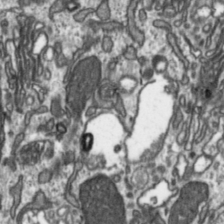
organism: Toxoplasma gondii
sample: Parasites in a vacuole inside a host cell